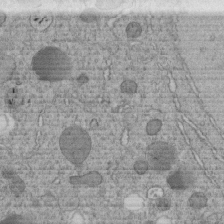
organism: C. elegans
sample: C. elegans embryo early stage